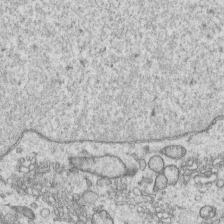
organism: Human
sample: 1205lu cells